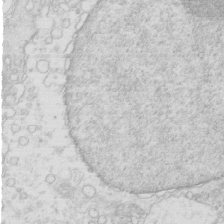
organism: Mouse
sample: Multiciliated cells